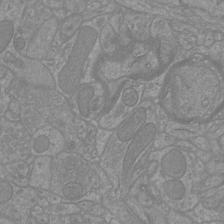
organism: Mouse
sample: Cortical neurons